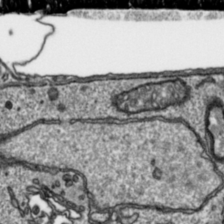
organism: Toxoplasma gondii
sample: Parasites in a vacuole inside a host cell